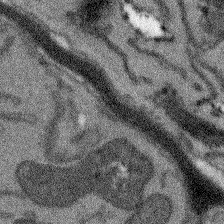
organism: Arabidopsis thaliana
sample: Root tip